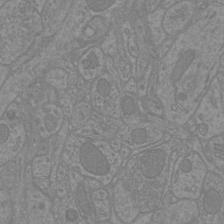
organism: Mouse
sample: Cortical neurons